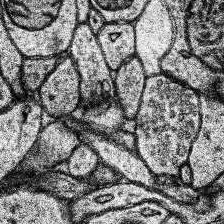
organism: Human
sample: Temporal Lobe